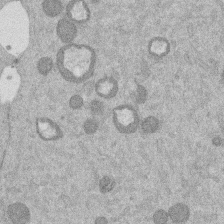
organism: Mouse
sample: Dividing mouse embryo 1 cell stage